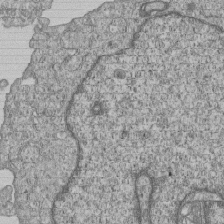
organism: Human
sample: MDA-MB-231 cells